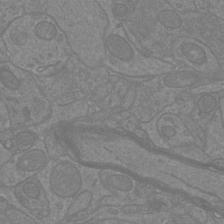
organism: Mouse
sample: Cortical neurons